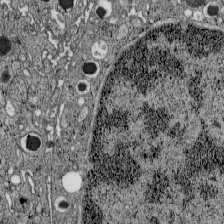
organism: C57BL Mouse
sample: Pancreatic islet